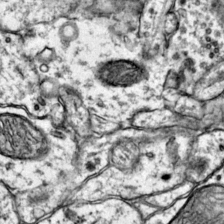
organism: Mouse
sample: Primary visual cortex